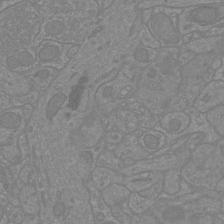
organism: Mouse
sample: Cortical neurons